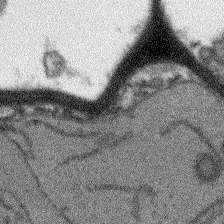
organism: Arabidopsis thaliana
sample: Root tip